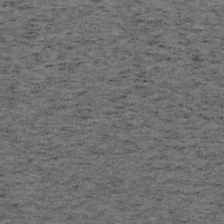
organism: Mouse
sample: OT-I killer T cells with ID8 ovarian cancer cells